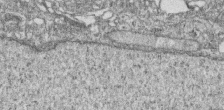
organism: Human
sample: HeLa cell HIV synapse